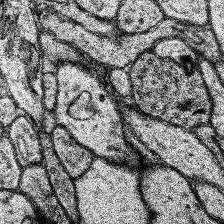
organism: Human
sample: Temporal Lobe